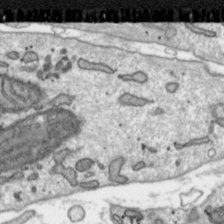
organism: Toxoplasma gondii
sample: Parasites in a vacuole inside a host cell